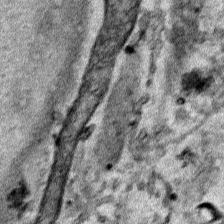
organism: Human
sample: Mitochondria in HCT116 cells